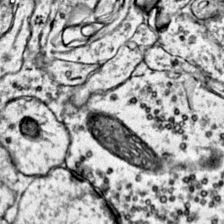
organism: Mouse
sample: Primary visual cortex